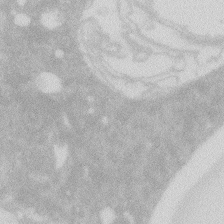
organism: Zebrafish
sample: Macrophage